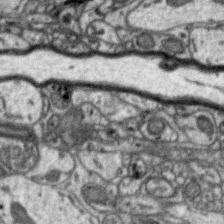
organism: Zebra finch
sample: Brain